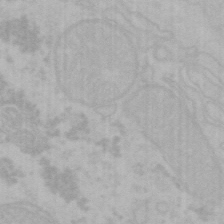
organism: Mouse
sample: Choroid plexus